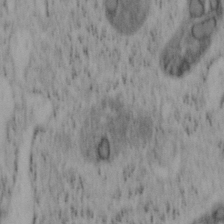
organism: Mouse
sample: OT-I killer T cells with ID8 ovarian cancer cells